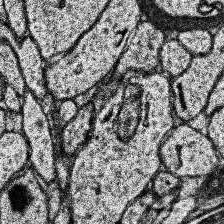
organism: Human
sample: Temporal Lobe